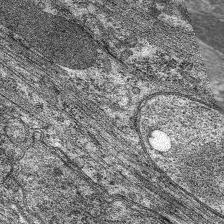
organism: C. elegans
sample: Pharynx